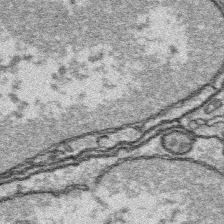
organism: Platynereis dumerilii